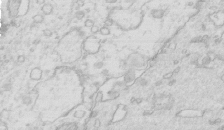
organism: Mouse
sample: Multiciliated cells